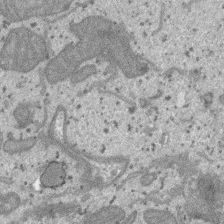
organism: Human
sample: Lung epithelial cells infected with SARS-CoV-2